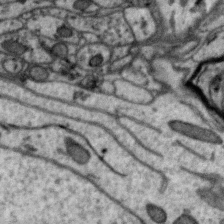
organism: Zebra finch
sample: Brain